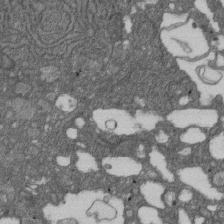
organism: Drosophila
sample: Nephrocyte